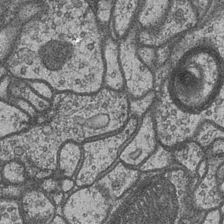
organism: Drosophila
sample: Optic medulla